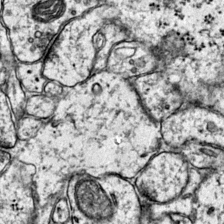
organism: Mouse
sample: Primary visual cortex